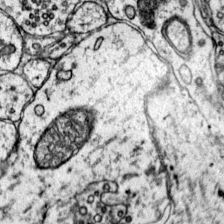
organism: Mouse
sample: Primary visual cortex